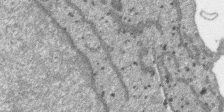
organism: Human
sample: Lung epithelial cells infected with SARS-CoV-2